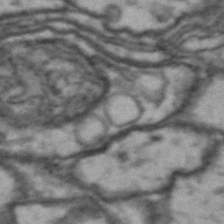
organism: Drosophila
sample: Brain